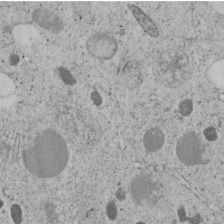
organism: C. elegans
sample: C. elegans embryo early stage